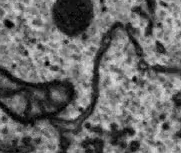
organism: Human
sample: HeLa cells